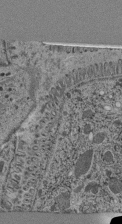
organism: C. elegans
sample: C. elegans pharynx